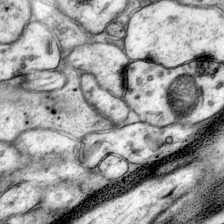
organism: Mouse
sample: Primary visual cortex